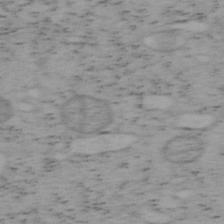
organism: Mouse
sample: OT-I killer T cells with ID8 ovarian cancer cells